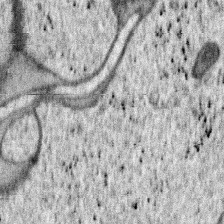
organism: Human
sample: HeLa cells